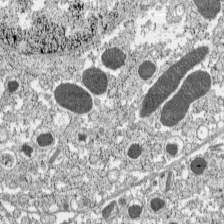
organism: C57BL Mouse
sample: Pancreatic islet